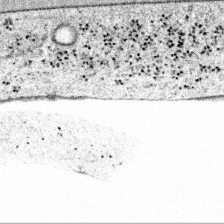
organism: Human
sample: HeLa cells